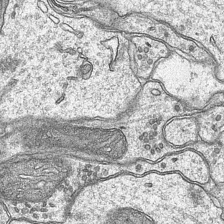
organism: Mouse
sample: CA1 Hippocampus